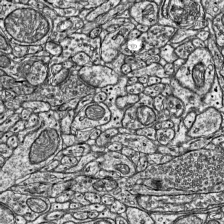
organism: Mouse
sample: Visual Cortex